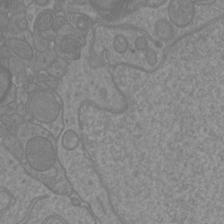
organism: Mouse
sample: Cortical neurons